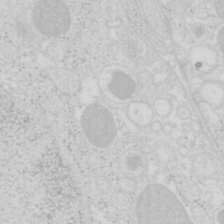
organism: Mouse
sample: Pancreas